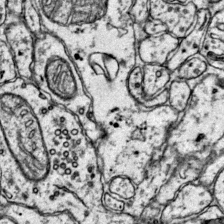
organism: Mouse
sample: Primary visual cortex